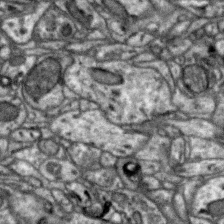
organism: Zebra finch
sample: Brain